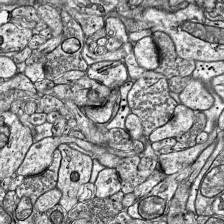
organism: Mouse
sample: Visual Cortex